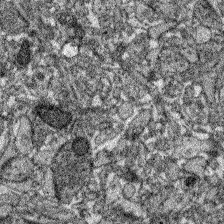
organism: Zebrafish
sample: Larval olfactory bulb